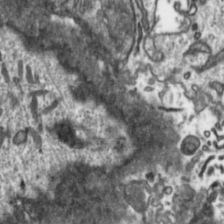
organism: Toxoplasma gondii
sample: Parasites in a vacuole inside a host cell